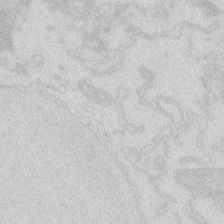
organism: Zebrafish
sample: Macrophage